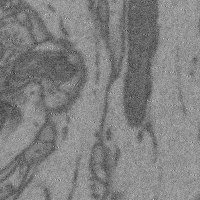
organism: Mouse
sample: Cerebral cortex